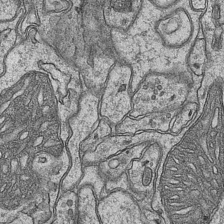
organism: Mouse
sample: CA1 Hippocampus